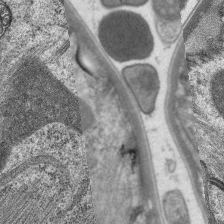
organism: C. elegans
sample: Pharynx